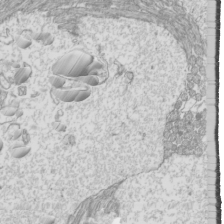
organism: Mouse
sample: Cilia; mouse epididymis